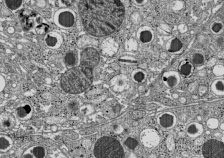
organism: C57BL Mouse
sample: Pancreatic islet